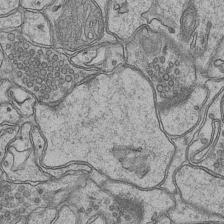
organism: Mouse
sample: CA1 Hippocampus